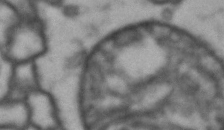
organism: Drosophila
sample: Brain